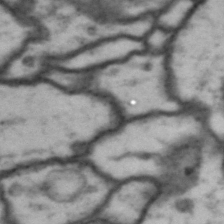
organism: Drosophila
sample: Brain